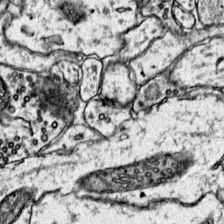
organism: Mouse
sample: Primary visual cortex